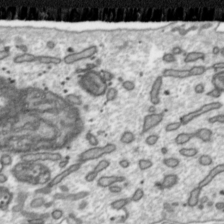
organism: Toxoplasma gondii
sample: Parasites in a vacuole inside a host cell